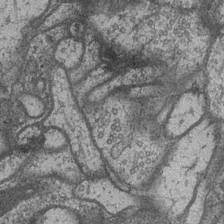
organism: Drosophila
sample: Optic medulla